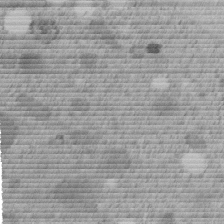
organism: C. elegans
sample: C. elegans embryo early stage